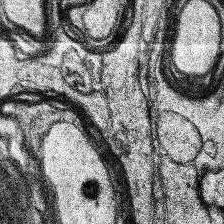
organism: Human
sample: Temporal Lobe